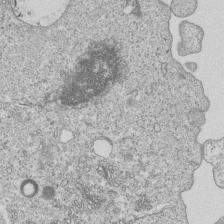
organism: Human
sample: MDA-MB-231 cells